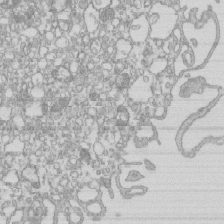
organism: Mouse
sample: Macrophages